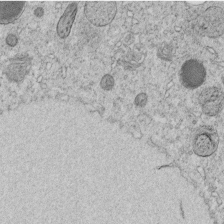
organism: C. elegans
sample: C. elegans embryo early stage